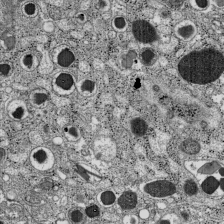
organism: C57BL Mouse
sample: Pancreatic islet